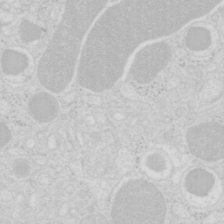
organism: Mouse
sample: Pancreas